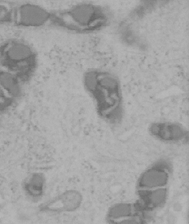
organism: Mouse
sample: OT-I killer T cells with ID8 ovarian cancer cells